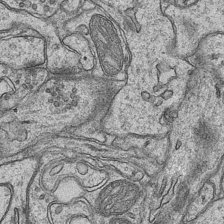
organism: Mouse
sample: CA1 Hippocampus